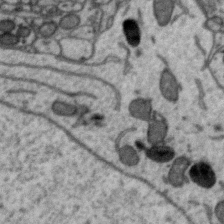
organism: Zebra finch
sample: Brain